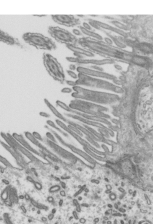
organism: Mouse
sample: Mouse epididymis efferent ductule cilia